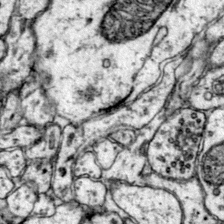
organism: Mouse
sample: Primary visual cortex